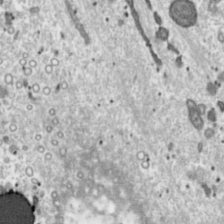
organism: Toxoplasma gondii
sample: Parasites in a vacuole inside a host cell